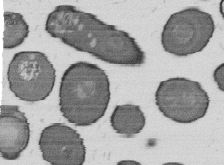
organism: B. subtilis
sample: Bacterial spore